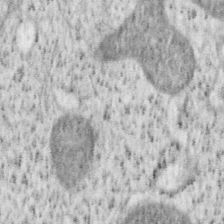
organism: Mouse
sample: OT-I killer T cells with ID8 ovarian cancer cells